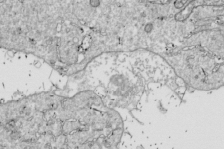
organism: Drosophila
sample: Cell division; meiosis; drosophila spermatocytes